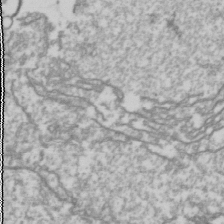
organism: Drosophila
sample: Cell division; meiosis; drosophila spermatocytes